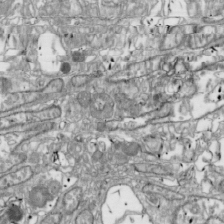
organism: Drosophila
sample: Cell division; meiosis; drosophila spermatocytes